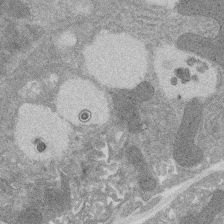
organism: Rat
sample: Salivary granule